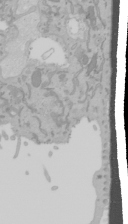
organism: Mouse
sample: Cancer cell death in ED-1 cells